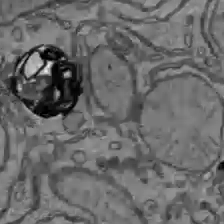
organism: C57BL Mouse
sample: Liver